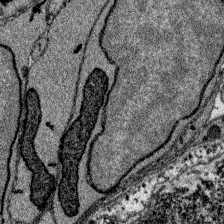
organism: Zebrafish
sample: Larval olfactory bulb